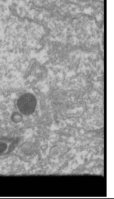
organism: Drosophila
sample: Cell division; meiosis; drosophila spermatocytes